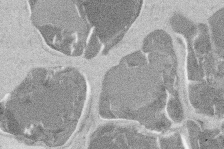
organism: Mouse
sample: T cell stromal cell synapse